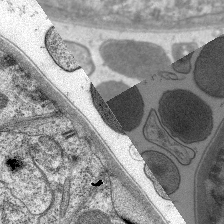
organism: C. elegans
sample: Pharynx